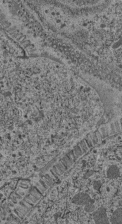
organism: C. elegans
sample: C. elegans pharynx